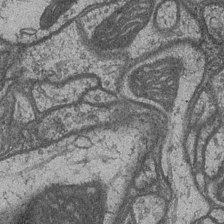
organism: Drosophila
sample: Optic medulla